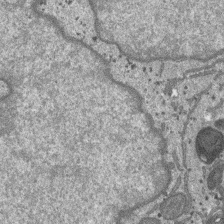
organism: Human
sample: Lung epithelial cells infected with SARS-CoV-2